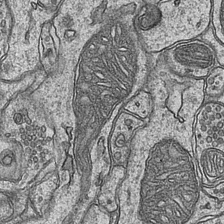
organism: Mouse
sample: CA1 Hippocampus